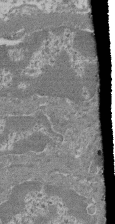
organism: Mouse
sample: Glomerulus